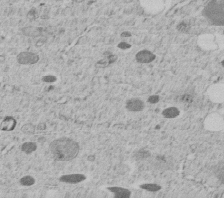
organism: C. elegans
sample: C. elegans embryo early stage